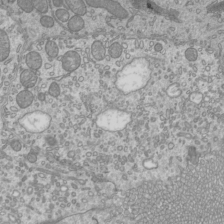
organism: Mouse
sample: Cilia; mouse epididymis